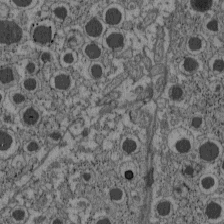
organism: C57BL Mouse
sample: Pancreatic islet